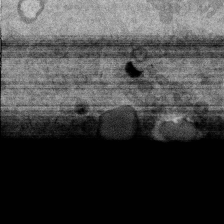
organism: Mouse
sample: Dividing mouse embryo 1 cell stage